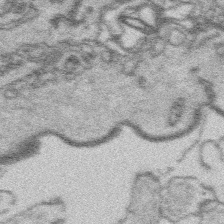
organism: Platynereis dumerilii